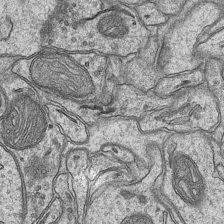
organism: Mouse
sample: CA1 Hippocampus